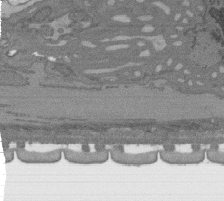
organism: C. elegans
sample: AFD neurons C. elegans